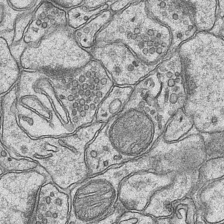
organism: Mouse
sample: CA1 Hippocampus